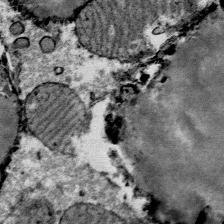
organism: Mouse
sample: Mouse Salivary gland